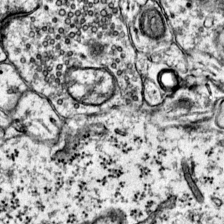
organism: Mouse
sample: Primary visual cortex